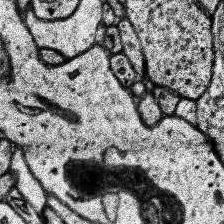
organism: Human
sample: Temporal Lobe